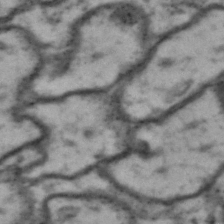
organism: Drosophila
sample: Brain